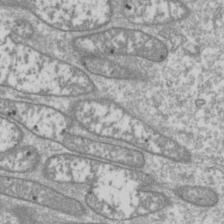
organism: Drosophila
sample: Cell division; meiosis; drosophila spermatocytes